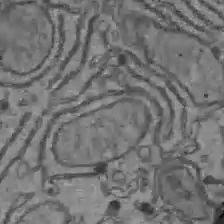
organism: C57BL Mouse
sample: Liver